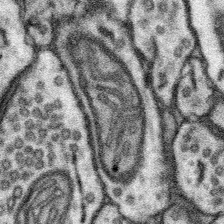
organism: Mouse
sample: Somatosensory cortex neuropil